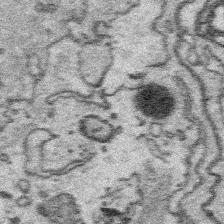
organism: Platynereis dumerilii